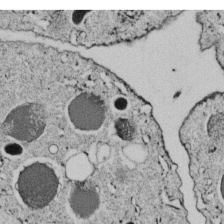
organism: C. elegans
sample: C. elegans embryo early stage